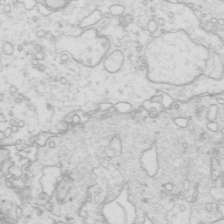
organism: Mouse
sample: Multiciliated cells